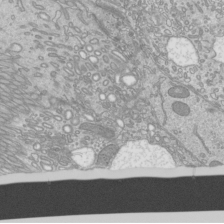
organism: Mouse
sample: Cilia; mouse epididymis